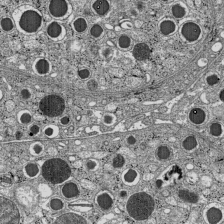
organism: C57BL Mouse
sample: Pancreatic islet